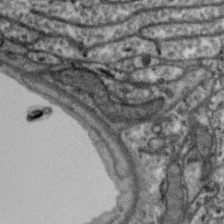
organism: Zebra finch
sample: Brain